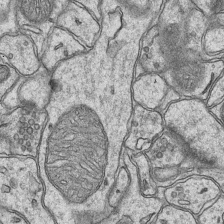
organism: Mouse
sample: CA1 Hippocampus